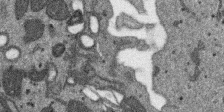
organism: Human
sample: Lung epithelial cells infected with SARS-CoV-2